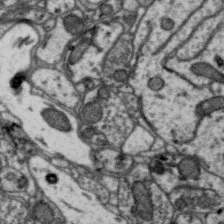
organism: Zebra finch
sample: Brain